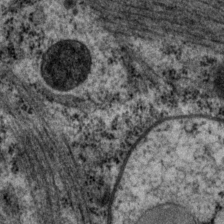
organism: P. pacificus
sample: Pharynx